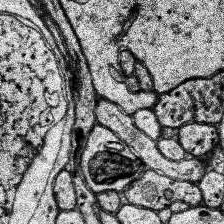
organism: Human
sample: Temporal Lobe